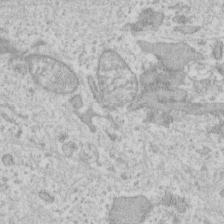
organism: Human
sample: Fibroblast cells